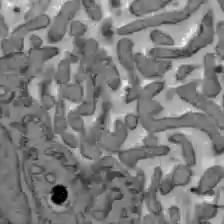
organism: C57BL Mouse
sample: Liver